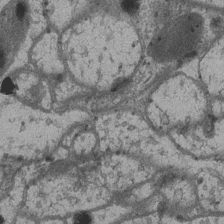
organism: Drosophila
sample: Optic medulla